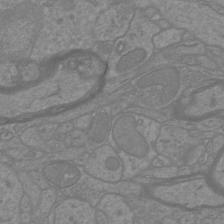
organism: Mouse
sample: Cortical neurons